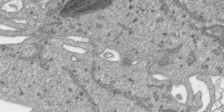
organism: Human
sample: Lung epithelial cells infected with SARS-CoV-2